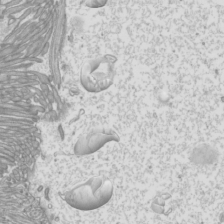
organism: Mouse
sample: Cilia; mouse epididymis